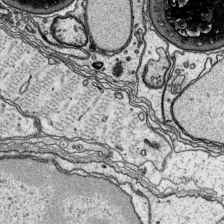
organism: Platynereis dumerilii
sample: Parapodia